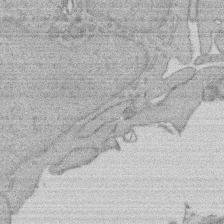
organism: Rat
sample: Salivary granule